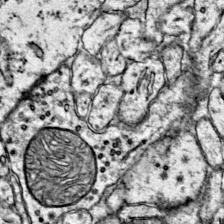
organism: Mouse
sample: Primary visual cortex